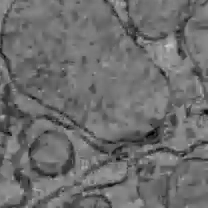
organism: C57BL Mouse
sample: Liver